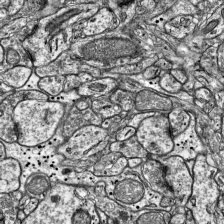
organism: Mouse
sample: Visual Cortex